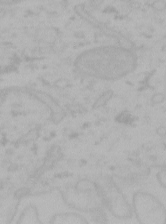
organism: Mouse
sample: Choroid plexus